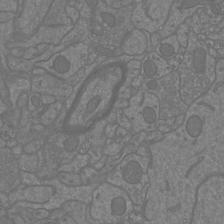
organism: Mouse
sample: Cortical neurons